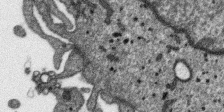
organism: Human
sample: Lung epithelial cells infected with SARS-CoV-2